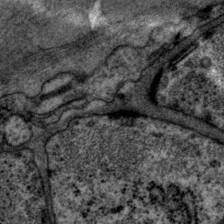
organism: P. pacificus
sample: Pharynx